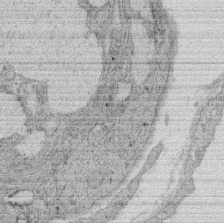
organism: Rat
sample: Salivary granule